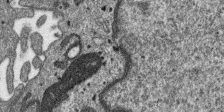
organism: Human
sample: Lung epithelial cells infected with SARS-CoV-2